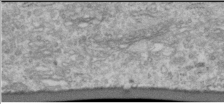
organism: Human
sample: Cilia; basal body in RPE cells